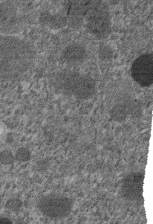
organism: C. elegans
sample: C. elegans embryo early stage